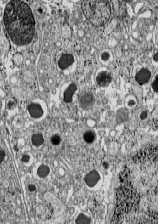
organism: C57BL Mouse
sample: Pancreatic islet